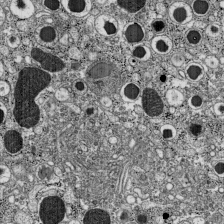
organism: C57BL Mouse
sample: Pancreatic islet